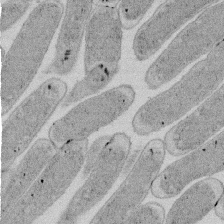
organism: E. coli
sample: Bacterial nucleoid